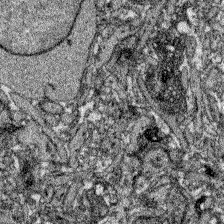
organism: Zebrafish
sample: Larval olfactory bulb